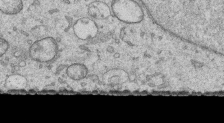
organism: Human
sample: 1205lu cells